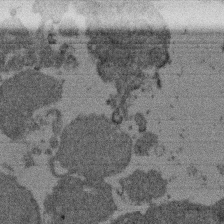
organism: Mouse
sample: Dividing mouse embryo 1 cell stage